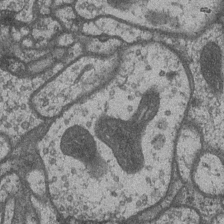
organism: Drosophila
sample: Optic medulla